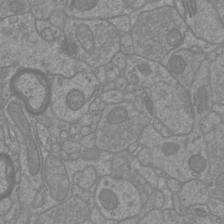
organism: Mouse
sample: Cortical neurons